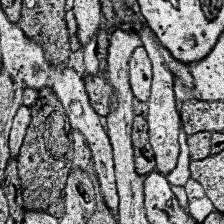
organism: Human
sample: Temporal Lobe